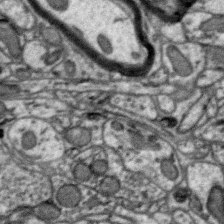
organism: Zebra finch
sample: Brain